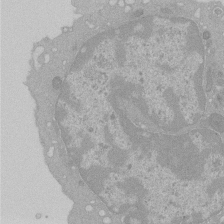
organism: Mouse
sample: Activated Pmel transgenic CD8+ T Cells